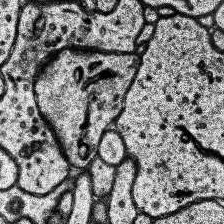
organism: Human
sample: Temporal Lobe